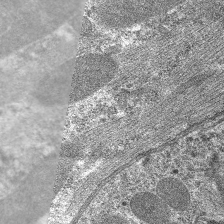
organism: C. elegans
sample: Pharynx